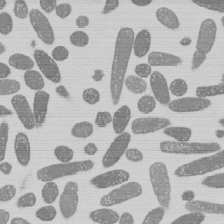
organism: E. coli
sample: Bacterial nucleoid